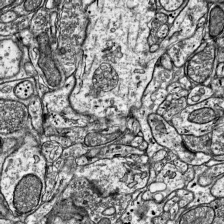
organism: Mouse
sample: Visual Cortex